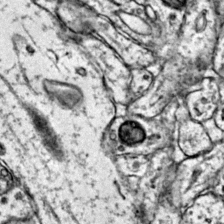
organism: Mouse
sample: Primary visual cortex